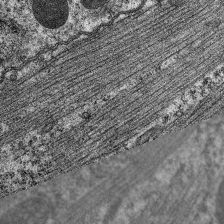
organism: C. elegans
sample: Pharynx